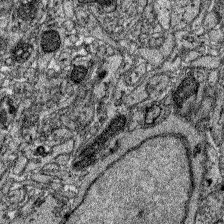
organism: Zebrafish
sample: Larval olfactory bulb